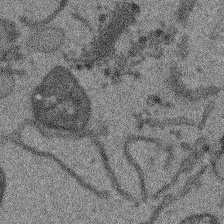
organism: Arabidopsis thaliana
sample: Root tip